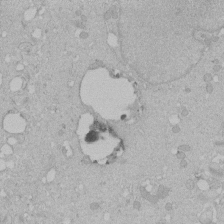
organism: Human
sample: Melanocyte Keratinocyte synapse skin construct